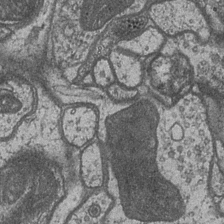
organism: Drosophila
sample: Optic medulla